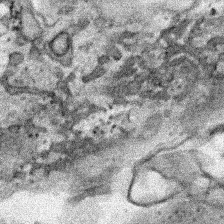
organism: Human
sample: Mitochondria in HCT116 cells